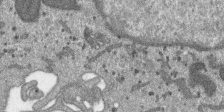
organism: Human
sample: Lung epithelial cells infected with SARS-CoV-2